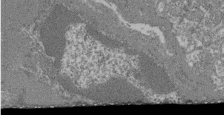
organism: Mouse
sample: Glomerulus